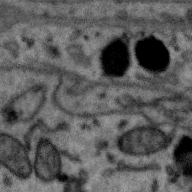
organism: Zebra finch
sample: Brain